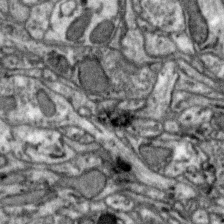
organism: Zebra finch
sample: Brain